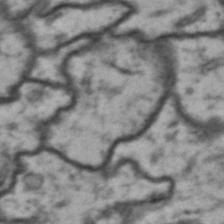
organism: Drosophila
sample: Brain